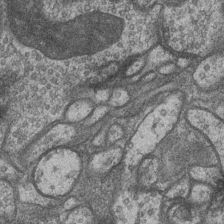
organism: Drosophila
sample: Optic medulla